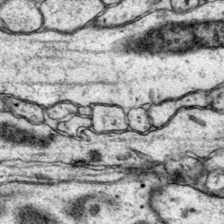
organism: Mouse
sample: Primary visual cortex